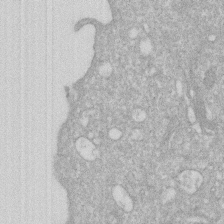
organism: Human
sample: HIV infected U937 cells